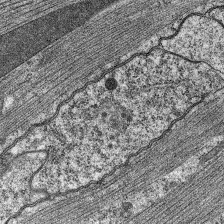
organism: C. elegans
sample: Pharynx